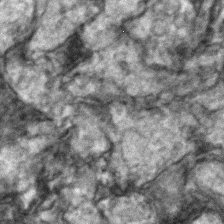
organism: Zebrafish